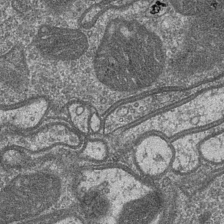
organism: Drosophila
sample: Optic medulla